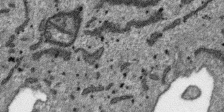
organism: Human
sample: Lung epithelial cells, uninfected (mock) control